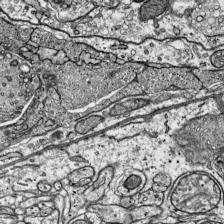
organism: Mouse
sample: Visual Cortex